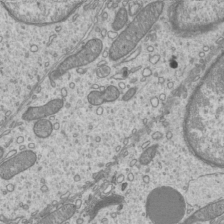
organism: Mouse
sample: Cilia; mouse epididymis